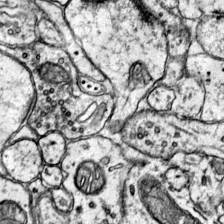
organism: Mouse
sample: Primary visual cortex